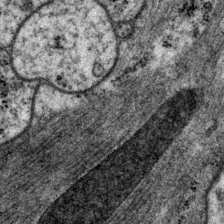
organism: P. pacificus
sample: Pharynx